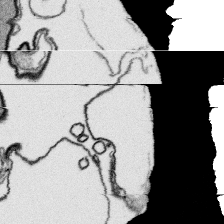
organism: Platynereis dumerilii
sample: Parapodia